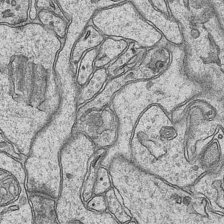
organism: Mouse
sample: CA1 Hippocampus